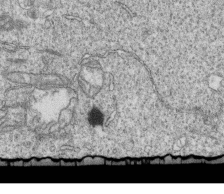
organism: Human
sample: HeLa cell HIV synapse